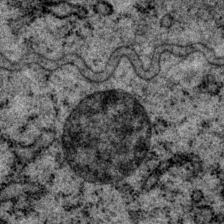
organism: P. pacificus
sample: Pharynx